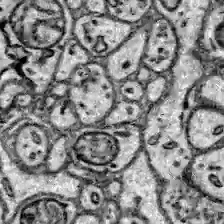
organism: Zebrafish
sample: Brain